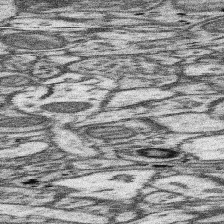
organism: Mouse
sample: Somatosensory cortex neuropil